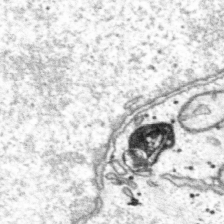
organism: Human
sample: HeLa cells